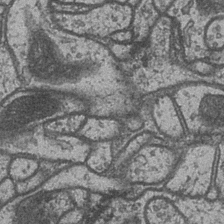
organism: Drosophila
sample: Optic medulla